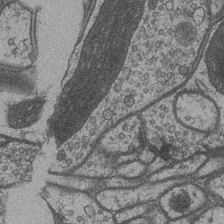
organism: Drosophila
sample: Optic medulla